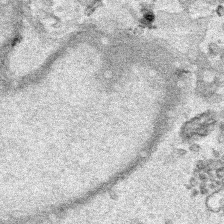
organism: Human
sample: Mitochondria in HCT116 cells